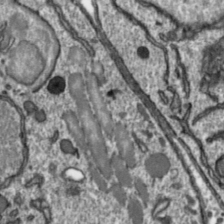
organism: Toxoplasma gondii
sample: Parasites in a vacuole inside a host cell